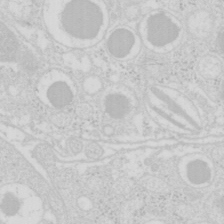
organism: Mouse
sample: Pancreas